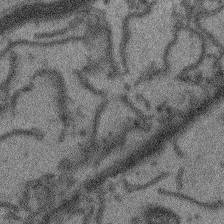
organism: Arabidopsis thaliana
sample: Root tip